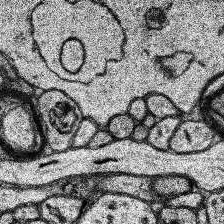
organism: Human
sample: Temporal Lobe